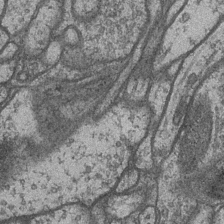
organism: Drosophila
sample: Optic medulla